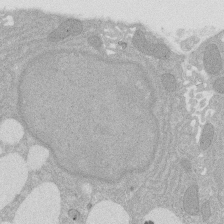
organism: Rat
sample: Salivary granule